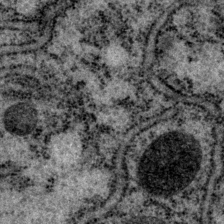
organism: P. pacificus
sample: Pharynx